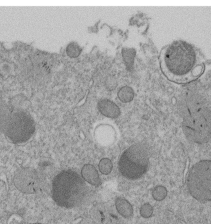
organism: C. elegans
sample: C. elegans embryo early stage